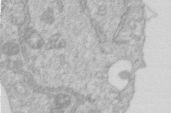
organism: Human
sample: Centriole in RPE cells